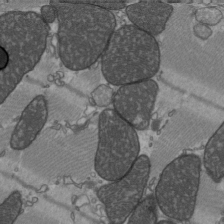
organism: C57BL Mouse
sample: Heart